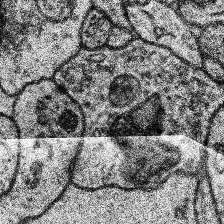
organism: Human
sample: Temporal Lobe